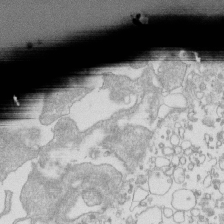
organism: Mouse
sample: Macrophages